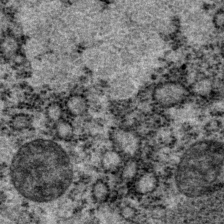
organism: P. pacificus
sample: Pharynx